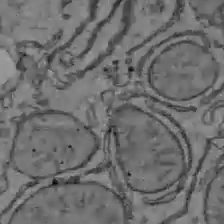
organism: C57BL Mouse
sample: Liver